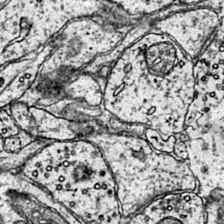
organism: Mouse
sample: Primary visual cortex